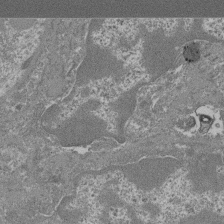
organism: Mouse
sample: Glomerulus